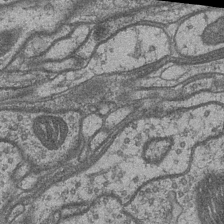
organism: Drosophila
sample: Optic medulla